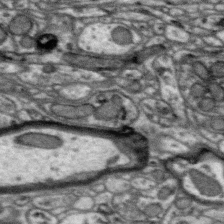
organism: Zebra finch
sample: Brain